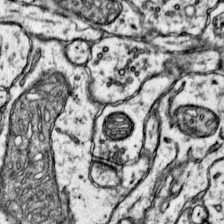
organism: Mouse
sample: Primary visual cortex